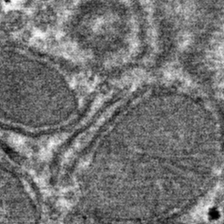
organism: Mouse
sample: Mouse hepatocytes